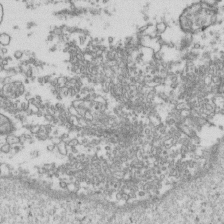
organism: Human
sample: Activated Jurkat CD4+ T cells